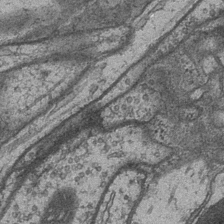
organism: Drosophila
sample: Optic medulla